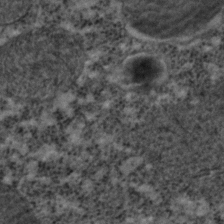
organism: C. elegans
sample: C. elegans embryo